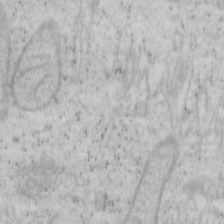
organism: Human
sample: HeLa cells